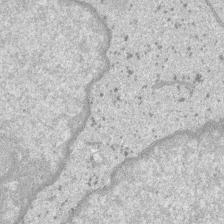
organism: Human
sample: Lung epithelial cells infected with SARS-CoV-2